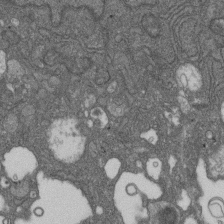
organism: Drosophila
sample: Nephrocyte